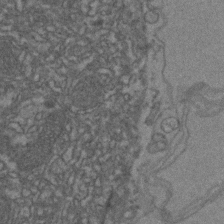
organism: Zebrafish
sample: Zebrafish embryo